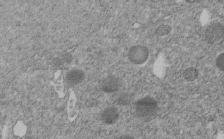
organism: C. elegans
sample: C. elegans embryo early stage